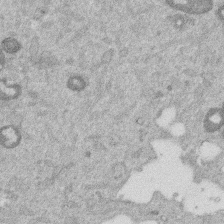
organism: Mouse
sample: Dividing mouse embryo 1 cell stage